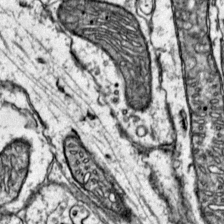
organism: Mouse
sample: Primary visual cortex